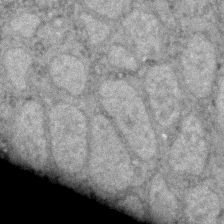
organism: Zebrafish